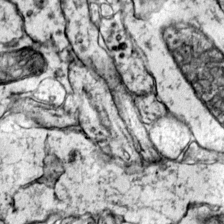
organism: Mouse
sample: Primary visual cortex